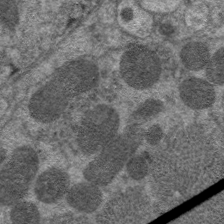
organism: C. elegans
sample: Pharynx